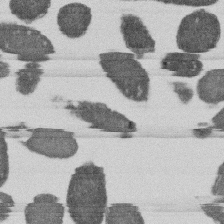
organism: E. coli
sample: Bacterial nucleoid